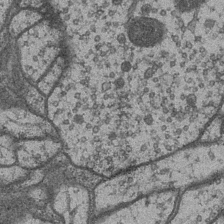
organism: Drosophila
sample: Optic medulla